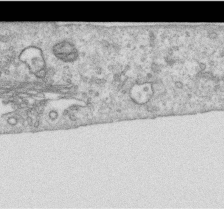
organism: Human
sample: Centriole in RPE cells